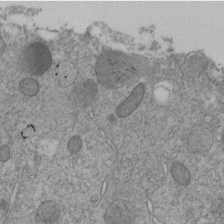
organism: C. elegans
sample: C. elegans embryo early stage